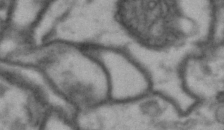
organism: Drosophila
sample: Brain